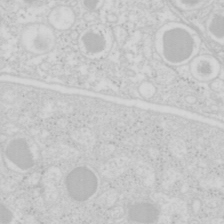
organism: Mouse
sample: Pancreas